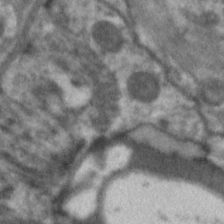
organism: C. elegans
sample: Pharynx